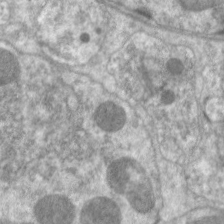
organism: C. elegans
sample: Pharynx